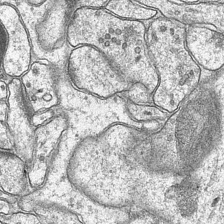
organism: Mouse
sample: CA1 Hippocampus